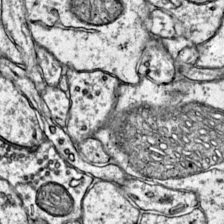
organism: Mouse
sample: Primary visual cortex